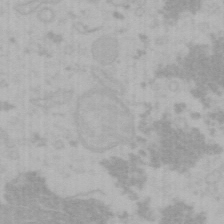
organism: Mouse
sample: Choroid plexus